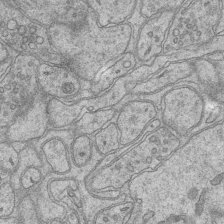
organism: Mouse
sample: CA1 Hippocampus